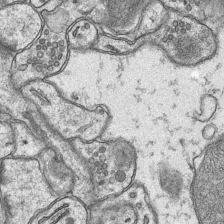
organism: Mouse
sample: CA1 Hippocampus